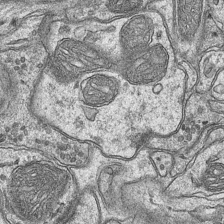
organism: Mouse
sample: CA1 Hippocampus